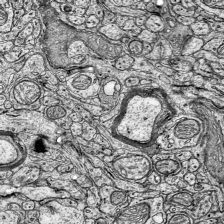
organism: Mouse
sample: Visual Cortex